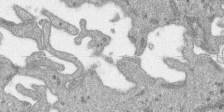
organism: Human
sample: Lung epithelial cells infected with SARS-CoV-2